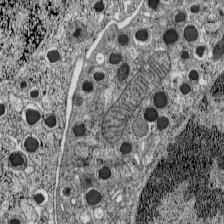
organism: C57BL Mouse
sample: Pancreatic islet